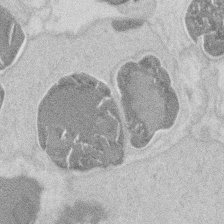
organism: Mouse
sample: T cell stromal cell synapse